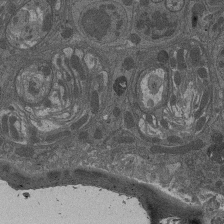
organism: Drosophila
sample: Antenna